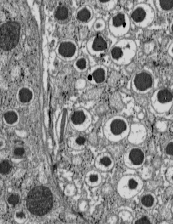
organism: C57BL Mouse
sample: Pancreatic islet